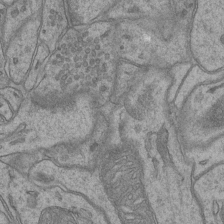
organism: Mouse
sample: CA1 Hippocampus